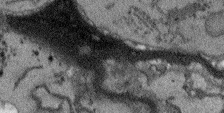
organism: Arabidopsis thaliana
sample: Root tip